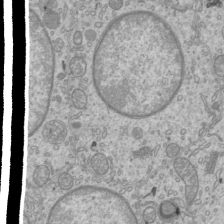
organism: Mouse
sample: Cilia; mouse epididymis